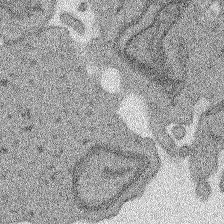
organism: Human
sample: HeLa cells